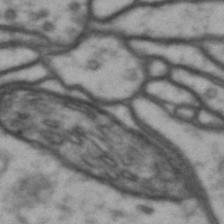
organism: Drosophila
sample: Brain